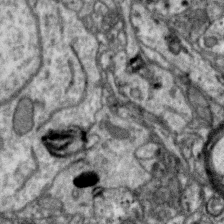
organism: Zebra finch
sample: Brain